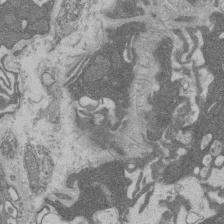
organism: Rat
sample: Salivary granule